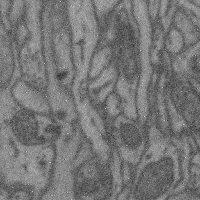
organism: Mouse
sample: Cerebral cortex